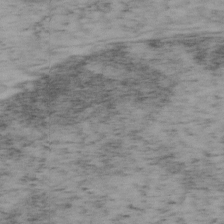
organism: Mouse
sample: OT-I killer T cells with ID8 ovarian cancer cells